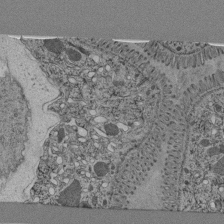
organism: C. elegans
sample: C. elegans pharynx